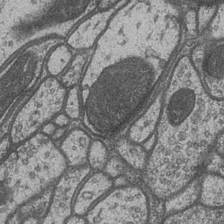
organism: Drosophila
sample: Optic medulla